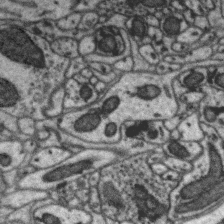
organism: Zebra finch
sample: Brain